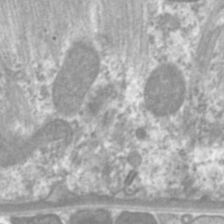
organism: C. elegans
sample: Pharynx